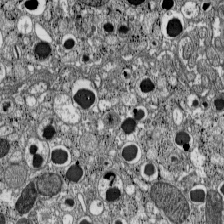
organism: C57BL Mouse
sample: Pancreatic islet